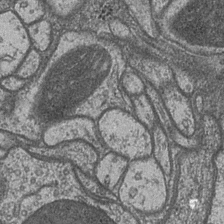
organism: Drosophila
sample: Optic medulla